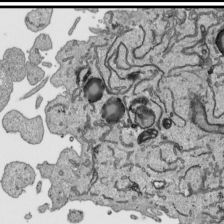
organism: Human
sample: Mitochondria in HCT116 cells